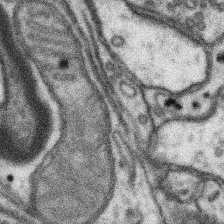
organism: Mouse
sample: Somatosensory cortex neuropil